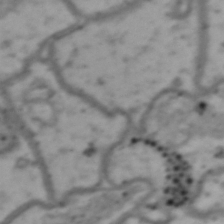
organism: Drosophila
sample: Brain